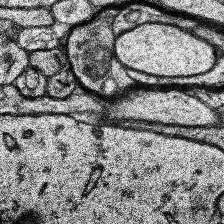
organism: Human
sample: Temporal Lobe